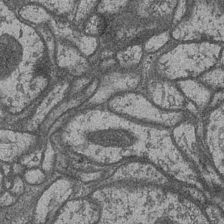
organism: Drosophila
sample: Optic medulla